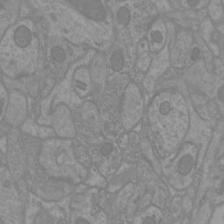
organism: Mouse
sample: Cortical neurons